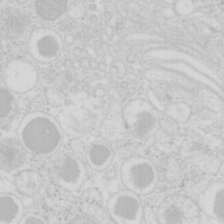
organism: Mouse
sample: Pancreas